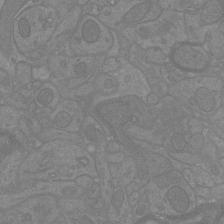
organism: Mouse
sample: Cortical neurons